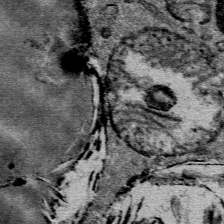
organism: Mouse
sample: Mouse Salivary gland